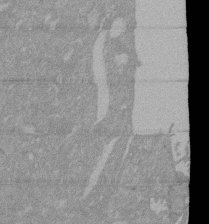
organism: Mouse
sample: ED-1 cell nuclei; centrioles